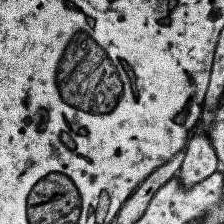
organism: Human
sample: Temporal Lobe